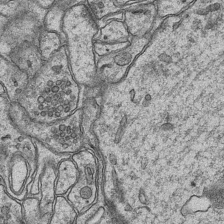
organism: Mouse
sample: CA1 Hippocampus